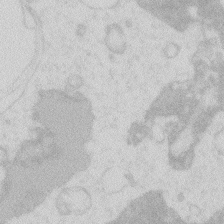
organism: Zebrafish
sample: Macrophage